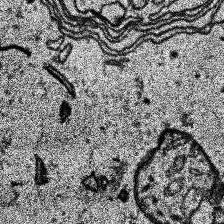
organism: Human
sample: Temporal Lobe